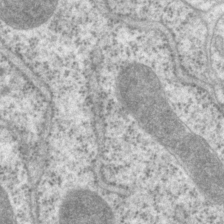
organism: P. pacificus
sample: Pharynx